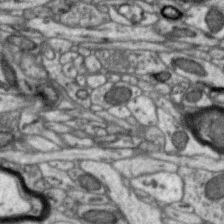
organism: Zebra finch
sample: Brain